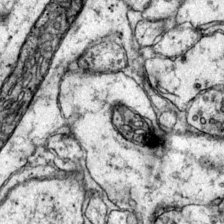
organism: Mouse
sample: Primary visual cortex